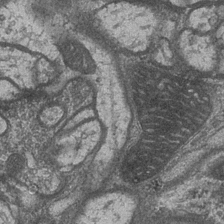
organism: Drosophila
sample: Optic medulla